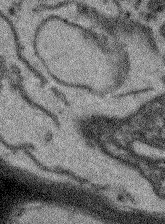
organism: Arabidopsis thaliana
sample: Root tip